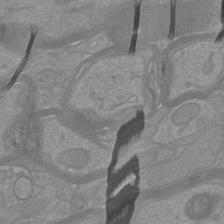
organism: Mouse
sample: Cortical neurons